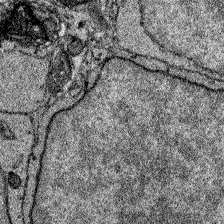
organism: Zebrafish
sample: Larval olfactory bulb